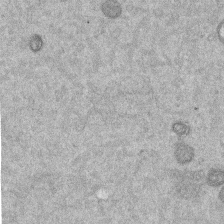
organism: Mouse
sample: Dividing mouse embryo 1 cell stage